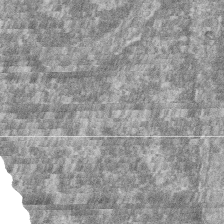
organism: Zebrafish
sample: Cilia; retinal pigment epithelium